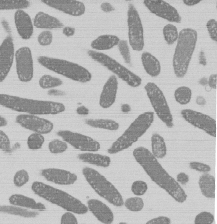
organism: E. coli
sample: Bacterial nucleoid